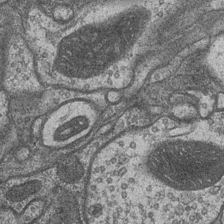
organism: Drosophila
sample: Optic medulla